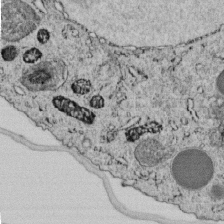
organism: C. elegans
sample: C. elegans embryo early stage